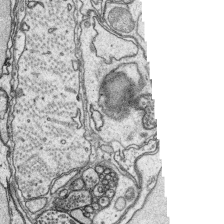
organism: Platynereis dumerilii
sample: Parapodia